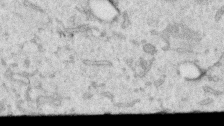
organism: Human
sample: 1205lu cells